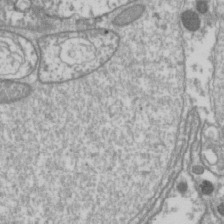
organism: Drosophila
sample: Cell division; meiosis; drosophila spermatocytes